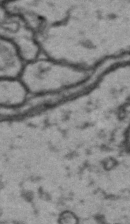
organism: Drosophila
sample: Brain